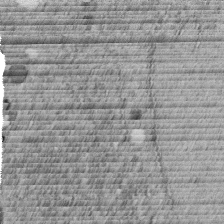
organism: C. elegans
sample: C. elegans embryo early stage